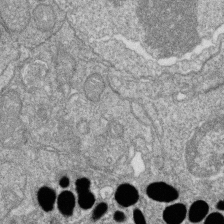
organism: Zebrafish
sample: Cilia; retinal pigment epithelium